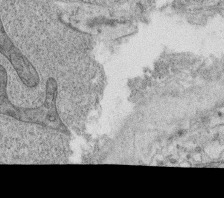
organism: C. elegans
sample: C. elegans oocyte; sperm cells